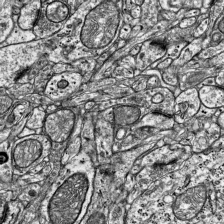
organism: Mouse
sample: Visual Cortex